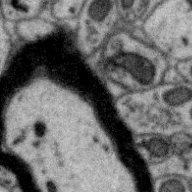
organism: Zebra finch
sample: Brain